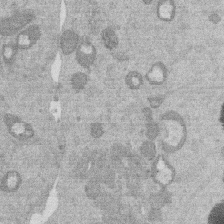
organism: Mouse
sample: Dividing mouse embryo 1 cell stage